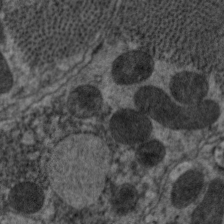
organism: C. elegans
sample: Pharynx